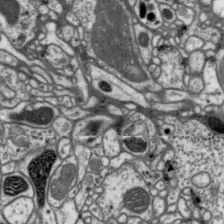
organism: Drosophila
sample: Protocerebral bridge